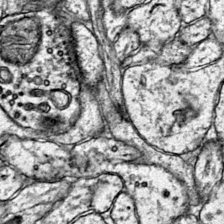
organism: Mouse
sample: Primary visual cortex